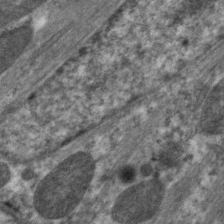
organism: C. elegans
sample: Pharynx